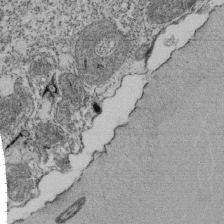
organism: Tetrahymena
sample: Cilia in tetrahymena